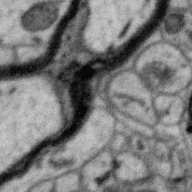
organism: Zebra finch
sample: Brain